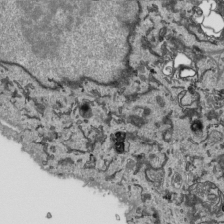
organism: Human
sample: Mitochondria in HCT116 cells